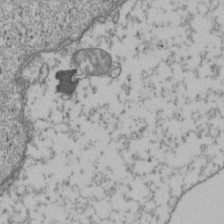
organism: Human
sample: Activated Jurkat CD4+ T cells